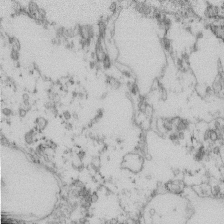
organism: Mouse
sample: Cilia; retinal pigment epithelium